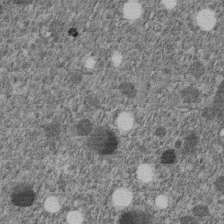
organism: C. elegans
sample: C. elegans embryo early stage